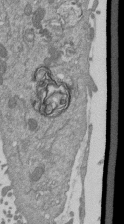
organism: Mouse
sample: ED-1 cell nuclei; centrioles